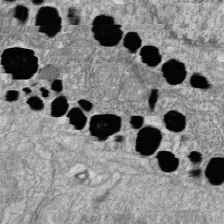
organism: Zebrafish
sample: Cilia; retinal pigment epithelium